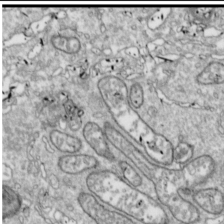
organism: Drosophila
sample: Cell division; meiosis; drosophila spermatocytes